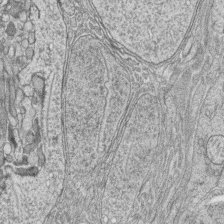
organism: Zebrafish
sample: synaptic ribbons in rod cells and cone cells